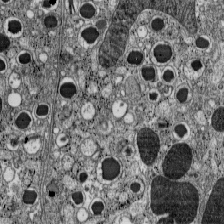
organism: C57BL Mouse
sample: Pancreatic islet